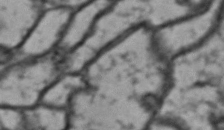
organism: Drosophila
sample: Brain